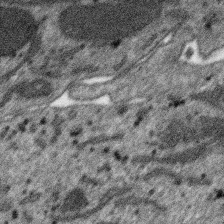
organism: Human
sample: Lung epithelial cells infected with SARS-CoV-2